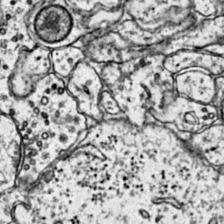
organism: Mouse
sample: Primary visual cortex